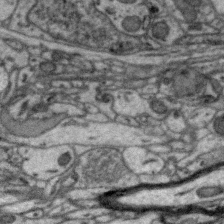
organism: Zebra finch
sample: Brain